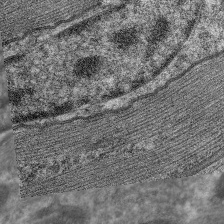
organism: C. elegans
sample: Pharynx